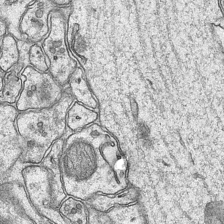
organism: Mouse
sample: CA1 Hippocampus